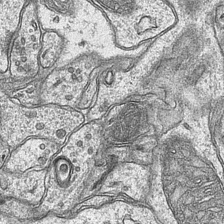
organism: Mouse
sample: CA1 Hippocampus